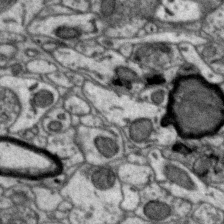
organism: Zebra finch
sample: Brain